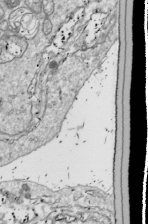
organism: Drosophila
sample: Cell division; meiosis; drosophila spermatocytes